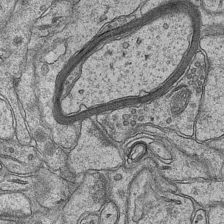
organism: Mouse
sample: CA1 Hippocampus